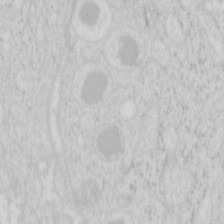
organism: Mouse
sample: Pancreas